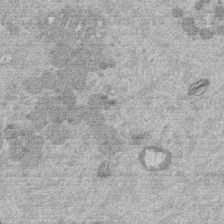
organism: Mouse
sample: Dividing mouse embryo 1 cell stage